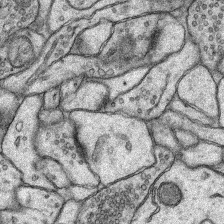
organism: Rat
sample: Hippocampus